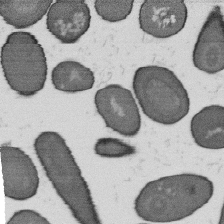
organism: B. subtilis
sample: Bacterial spore